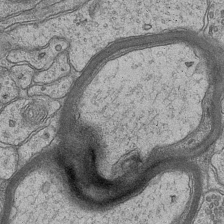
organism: Mouse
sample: CA1 Hippocampus